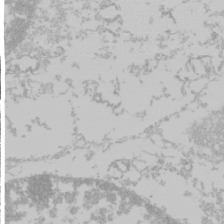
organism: Mouse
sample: Cancer cell death in ED-1 cells